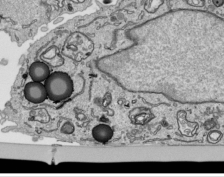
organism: Human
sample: Mitochondria in HCT116 cells